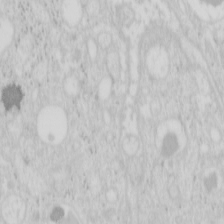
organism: Mouse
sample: Pancreas